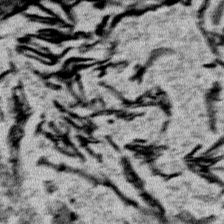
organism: Mouse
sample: Mouse Salivary gland